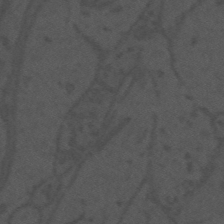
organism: Mouse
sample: Suprachiasmatic nucleus